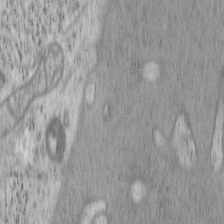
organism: Human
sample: HeLa cells